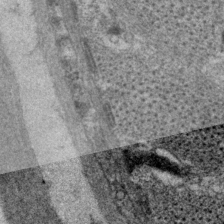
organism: P. pacificus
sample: Pharynx